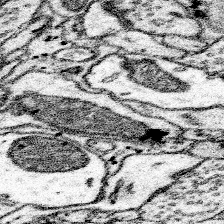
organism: Mouse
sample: Somatosensory cortex neuropil